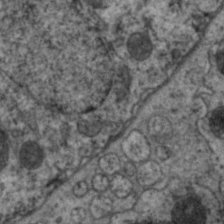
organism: C. elegans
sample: Pharynx